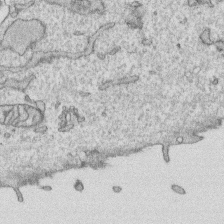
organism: Human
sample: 1205lu cells